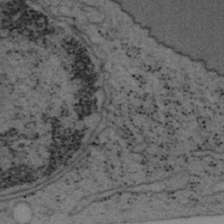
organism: Human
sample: HeLa cells